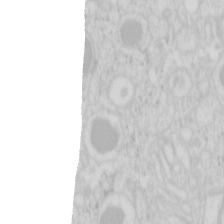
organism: Mouse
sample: Pancreas